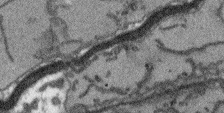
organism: Arabidopsis thaliana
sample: Root tip